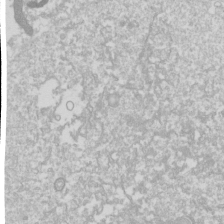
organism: Drosophila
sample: Cell division; meiosis; drosophila spermatocytes